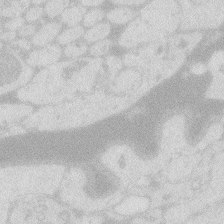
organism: Zebrafish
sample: Macrophage